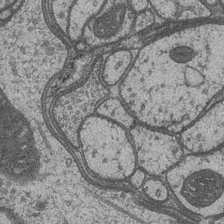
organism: Drosophila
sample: Optic medulla